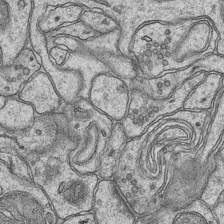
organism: Mouse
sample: CA1 Hippocampus